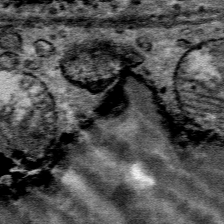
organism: Mouse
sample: Mouse Salivary gland